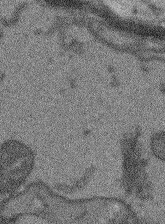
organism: Arabidopsis thaliana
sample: Root tip